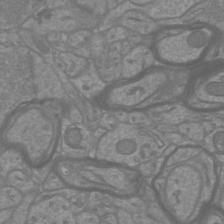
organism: Mouse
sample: Cortical neurons